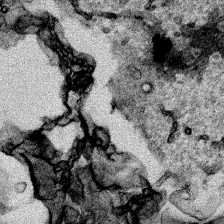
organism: Human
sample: Mitochondria in HCT116 cells